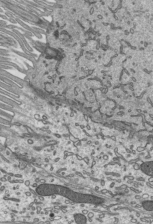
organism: Mouse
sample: Mouse epididymis efferent ductule cilia